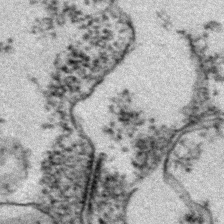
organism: Zebrafish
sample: Zebrafish embryo